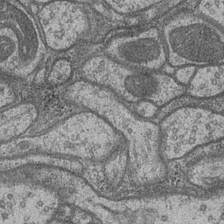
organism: Drosophila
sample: Optic medulla